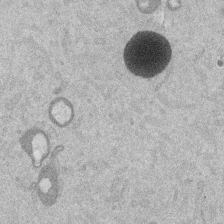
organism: Mouse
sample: Dividing mouse embryo 1 cell stage